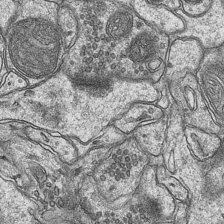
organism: Mouse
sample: CA1 Hippocampus